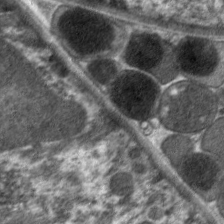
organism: C. elegans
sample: Pharynx